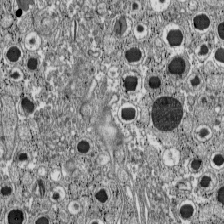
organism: C57BL Mouse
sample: Pancreatic islet